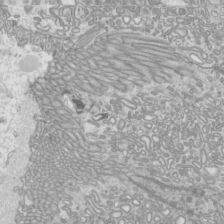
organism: Mouse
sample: Cilia; mouse epididymis